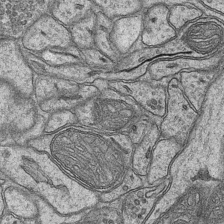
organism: Mouse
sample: CA1 Hippocampus